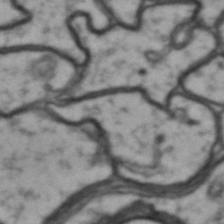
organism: Drosophila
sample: Brain